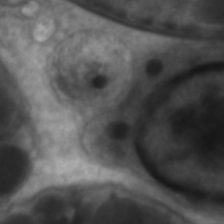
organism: C. elegans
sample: Pharynx